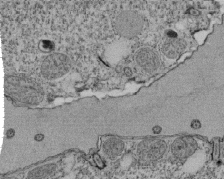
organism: Tetrahymena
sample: Cilia in tetrahymena